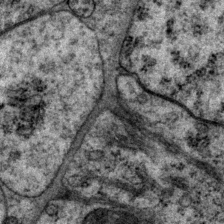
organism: P. pacificus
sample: Pharynx